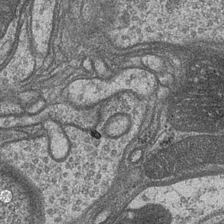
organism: Drosophila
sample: Optic medulla